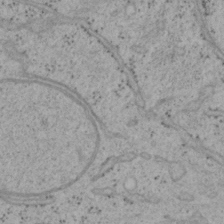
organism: Human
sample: HeLa cells